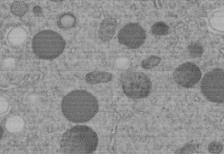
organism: C. elegans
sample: C. elegans embryo early stage